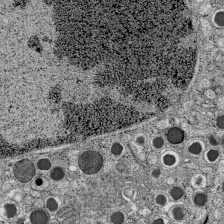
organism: C57BL Mouse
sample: Pancreatic islet